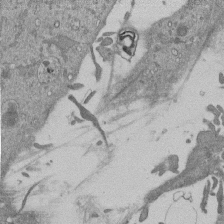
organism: Mouse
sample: ED-1 cell nuclei; centrioles